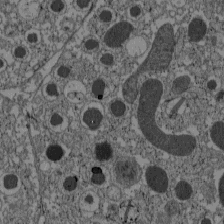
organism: C57BL Mouse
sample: Pancreatic islet